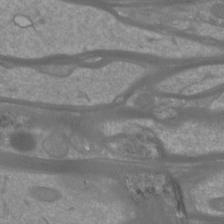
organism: Mouse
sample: Cortical neurons